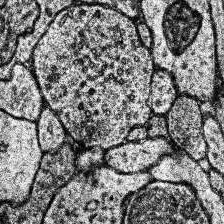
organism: Human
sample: Temporal Lobe